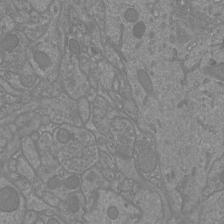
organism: Mouse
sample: Cortical neurons